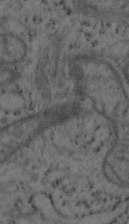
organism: Human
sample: HeLa cells